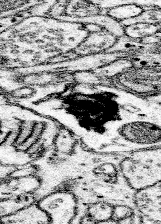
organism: Mouse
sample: Somatosensory cortex neuropil